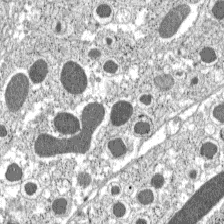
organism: C57BL Mouse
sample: Pancreatic islet